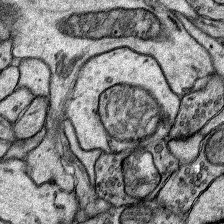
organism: Rat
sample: Hippocampus